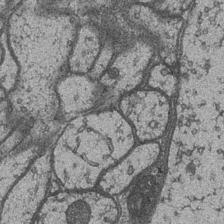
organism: Drosophila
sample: Optic medulla